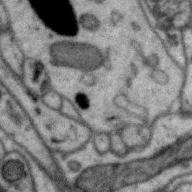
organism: Zebra finch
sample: Brain